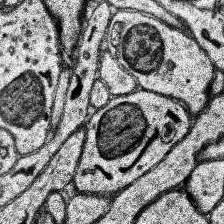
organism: Human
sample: Temporal Lobe